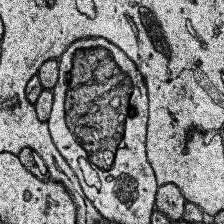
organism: Human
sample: Temporal Lobe